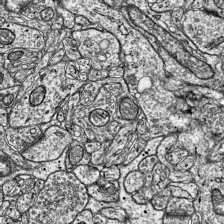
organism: Mouse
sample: Visual Cortex